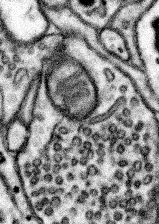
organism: Mouse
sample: Somatosensory cortex neuropil